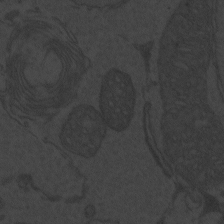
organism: Zebrafish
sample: Macrophage infected with Toxoplasma gondii